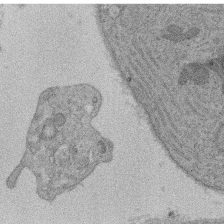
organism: Rat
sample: Salivary granule